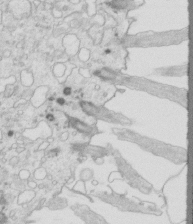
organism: Mouse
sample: Multiciliated cells